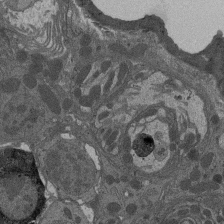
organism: Drosophila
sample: Antenna